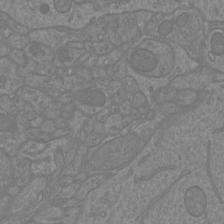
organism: Mouse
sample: Cortical neurons